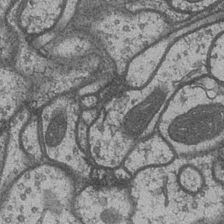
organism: Drosophila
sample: Optic medulla